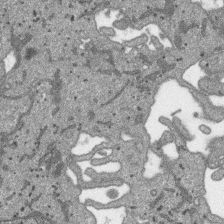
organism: Human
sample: Lung epithelial cells infected with SARS-CoV-2